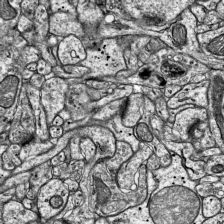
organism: Mouse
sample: Visual Cortex